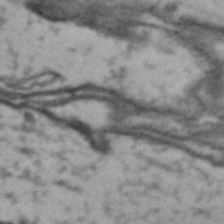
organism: Drosophila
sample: Brain